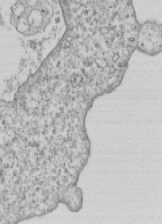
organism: Human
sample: MDA-MB-231 cells